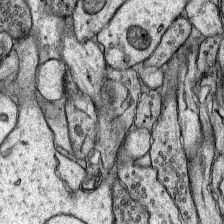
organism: Rat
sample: Hippocampus